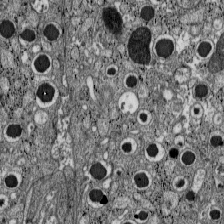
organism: C57BL Mouse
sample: Pancreatic islet